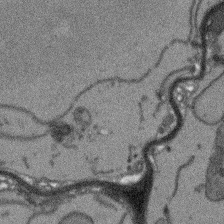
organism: Arabidopsis thaliana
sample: Root tip